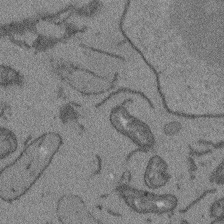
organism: Arabidopsis thaliana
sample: Root tip